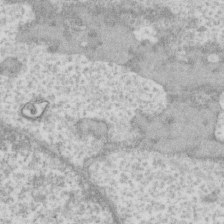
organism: Human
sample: Fibroblast cells